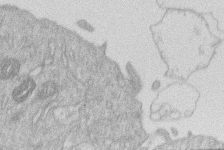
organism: Human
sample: Macrophage cells